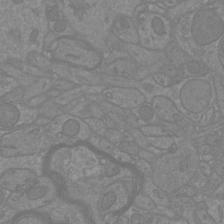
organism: Mouse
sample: Cortical neurons